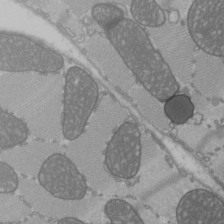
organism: C57BL Mouse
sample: Heart